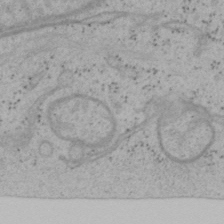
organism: Human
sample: HeLa cells